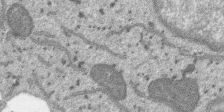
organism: Human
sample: Lung epithelial cells infected with SARS-CoV-2